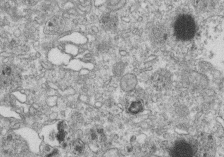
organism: Human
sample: HeLa cell HIV synapse